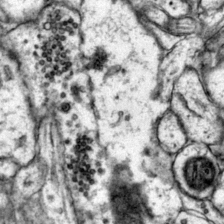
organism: Mouse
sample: Primary visual cortex